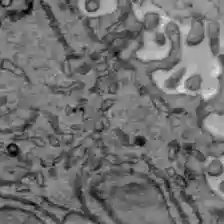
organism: C57BL Mouse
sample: Liver